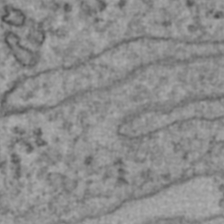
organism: Human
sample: Blood